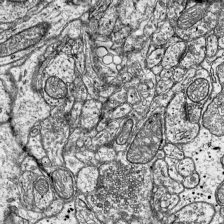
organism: Mouse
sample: Visual Cortex